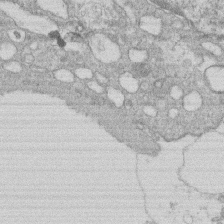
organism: Human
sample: Macrophage cells